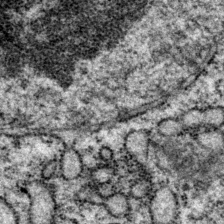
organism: P. pacificus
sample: Pharynx